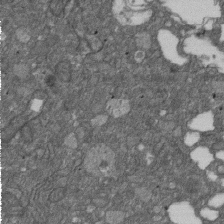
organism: Drosophila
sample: Nephrocyte